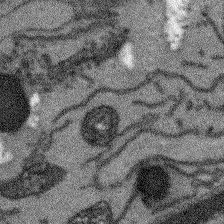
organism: Arabidopsis thaliana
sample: Root tip